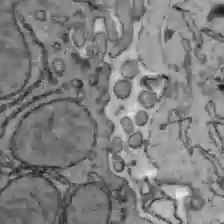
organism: C57BL Mouse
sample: Liver